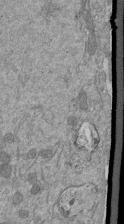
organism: Mouse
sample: ED-1 cell nuclei; centrioles